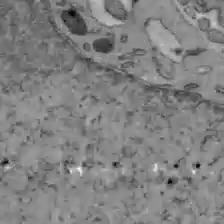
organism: C57BL Mouse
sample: Liver